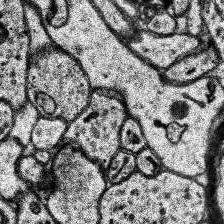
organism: Human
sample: Temporal Lobe